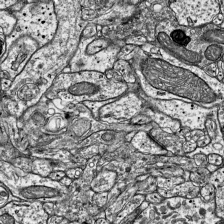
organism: Mouse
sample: Visual Cortex